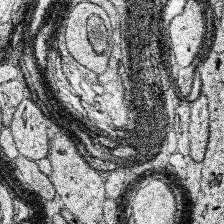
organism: Human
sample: Temporal Lobe